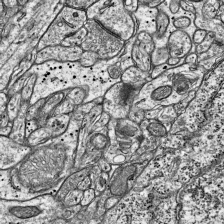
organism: Mouse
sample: Visual Cortex